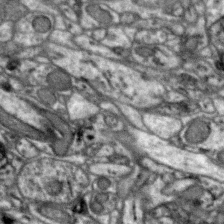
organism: Zebra finch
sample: Brain